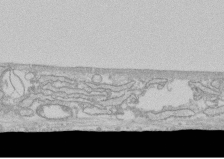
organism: Human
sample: CRL-1474